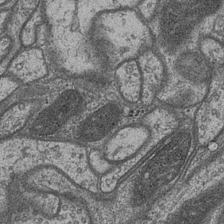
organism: Drosophila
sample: Optic medulla